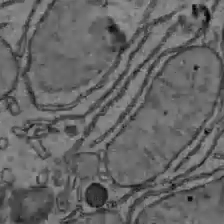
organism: C57BL Mouse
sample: Liver